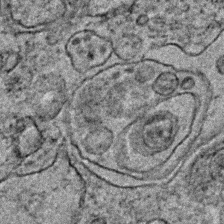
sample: Trachea